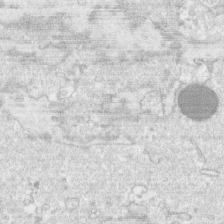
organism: Human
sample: CRL-1474